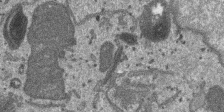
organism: Human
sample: Lung epithelial cells infected with SARS-CoV-2